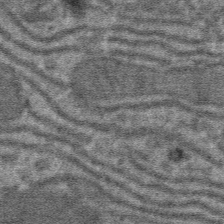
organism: Mouse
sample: Mouse hepatocytes